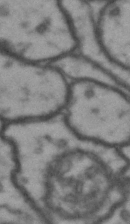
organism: Drosophila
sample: Brain